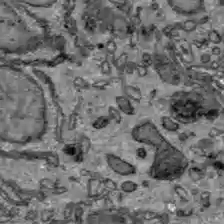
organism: C57BL Mouse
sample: Liver